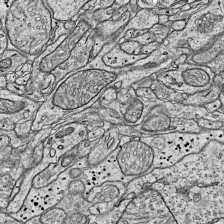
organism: Mouse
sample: Visual Cortex